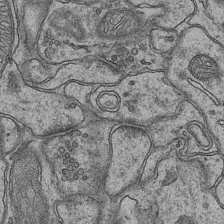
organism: Mouse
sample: CA1 Hippocampus